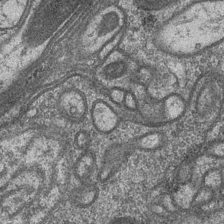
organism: Drosophila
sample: Optic medulla